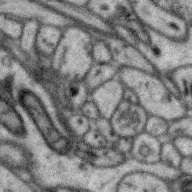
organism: Zebra finch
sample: Brain